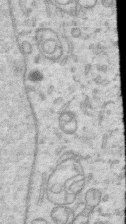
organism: Human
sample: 1205lu cells